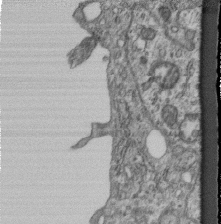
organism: Mouse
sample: Centriole in ependymal cells